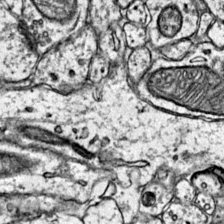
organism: Mouse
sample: Primary visual cortex